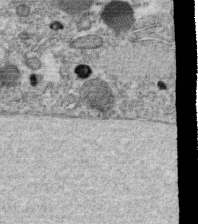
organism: C. elegans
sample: C. elegans oocyte; sperm cells